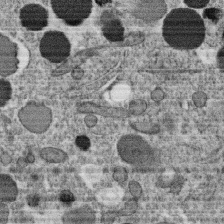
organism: C. elegans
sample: C. elegans oocyte; sperm cells